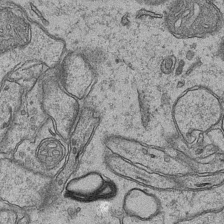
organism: Mouse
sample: CA1 Hippocampus